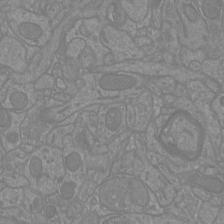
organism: Mouse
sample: Cortical neurons